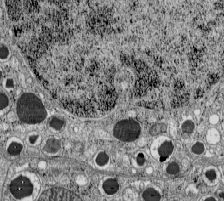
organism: C57BL Mouse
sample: Pancreatic islet